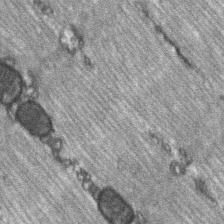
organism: C57BL Mouse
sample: Soleus